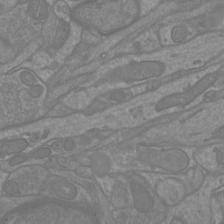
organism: Mouse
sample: Cortical neurons